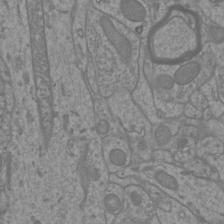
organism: Mouse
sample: Cortical neurons